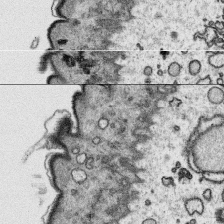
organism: Platynereis dumerilii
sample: Parapodia